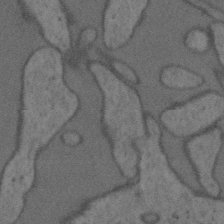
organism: Human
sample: HeLa cells